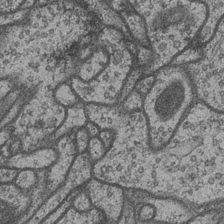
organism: Drosophila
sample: Optic medulla